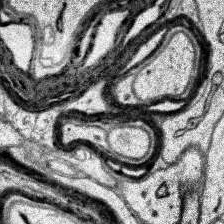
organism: Human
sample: Temporal Lobe